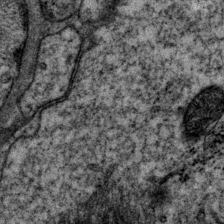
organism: P. pacificus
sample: Pharynx